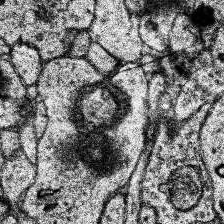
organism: Human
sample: Temporal Lobe